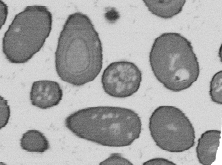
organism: B. subtilis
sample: Bacterial spore